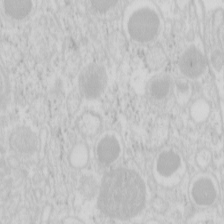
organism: Mouse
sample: Pancreas